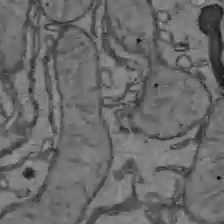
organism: C57BL Mouse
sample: Liver